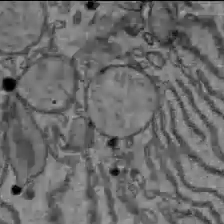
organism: C57BL Mouse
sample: Liver